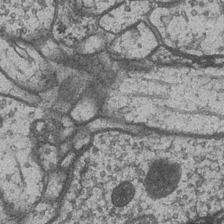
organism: Drosophila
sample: Optic medulla